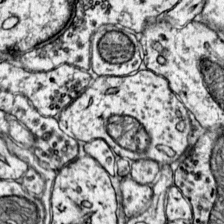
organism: Mouse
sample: Primary visual cortex